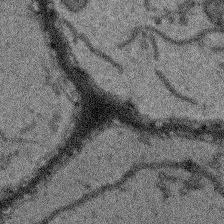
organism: Arabidopsis thaliana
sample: Root tip